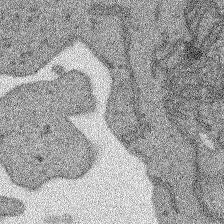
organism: Human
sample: HeLa cells